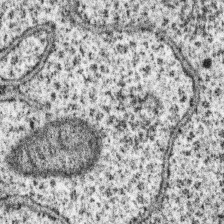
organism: Human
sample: HeLa cells